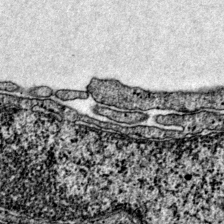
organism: Mouse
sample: Primary visual cortex